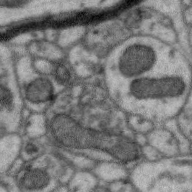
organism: Zebra finch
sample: Brain